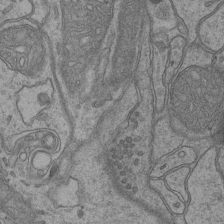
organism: Mouse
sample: CA1 Hippocampus